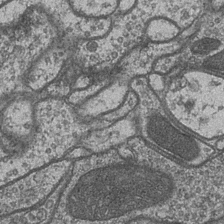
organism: Drosophila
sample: Optic medulla